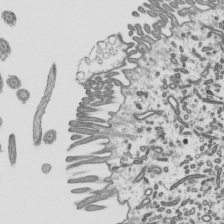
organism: Mouse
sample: Mouse epididymis efferent ductule cilia